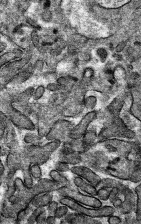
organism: Mouse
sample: Mouse hepatocytes